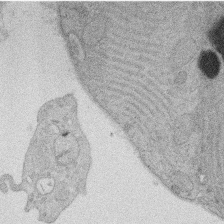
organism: Rat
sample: Salivary granule